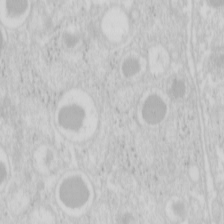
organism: Mouse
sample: Pancreas